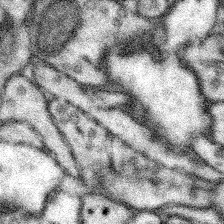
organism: Mouse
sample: Somatosensory cortex neuropil